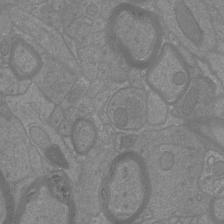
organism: Mouse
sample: Cortical neurons